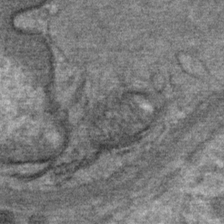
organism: Mouse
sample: Mouse Salivary gland